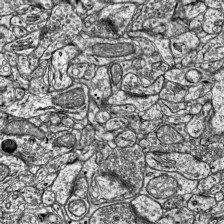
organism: Mouse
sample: Visual Cortex